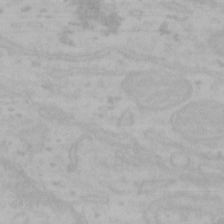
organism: Mouse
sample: Choroid plexus